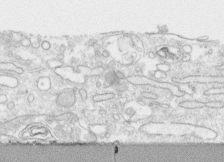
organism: Human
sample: CRL-1474